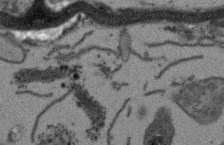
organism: Arabidopsis thaliana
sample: Root tip